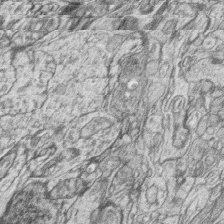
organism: Zebrafish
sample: synaptic ribbons in rod cells and cone cells